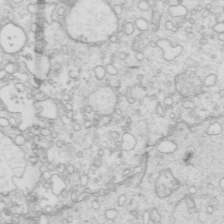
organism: Mouse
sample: Multiciliated cells